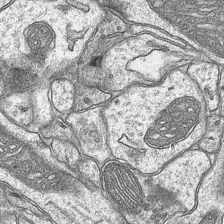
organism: Mouse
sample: CA1 Hippocampus